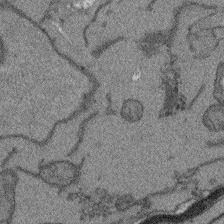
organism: Arabidopsis thaliana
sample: Root tip